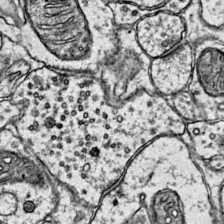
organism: Mouse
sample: Primary visual cortex